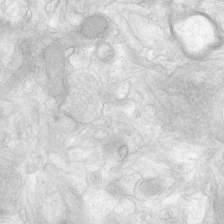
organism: Human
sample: Neocortex